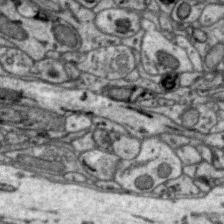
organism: Zebra finch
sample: Brain